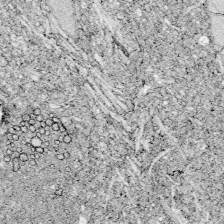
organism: Zebrafish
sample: Whole-Brain